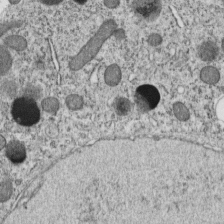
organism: C. elegans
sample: C. elegans embryo early stage